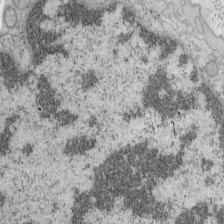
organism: Mouse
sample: OT-I killer T cells with ID8 ovarian cancer cells